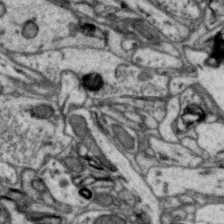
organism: Zebra finch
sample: Brain